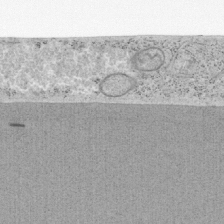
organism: Human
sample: HeLa cells